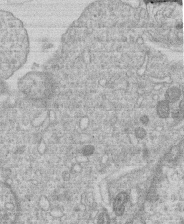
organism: Human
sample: Macrophage cells